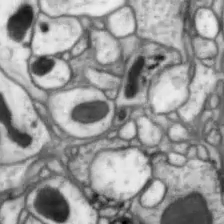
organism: Drosophila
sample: Optic lobe